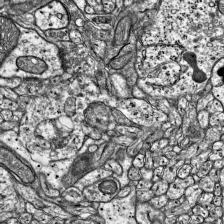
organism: Mouse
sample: Visual Cortex